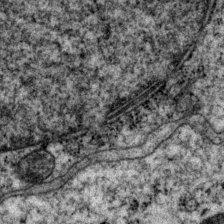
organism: P. pacificus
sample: Pharynx